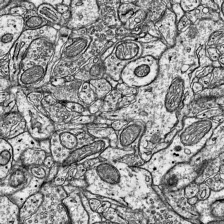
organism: Mouse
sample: Visual Cortex